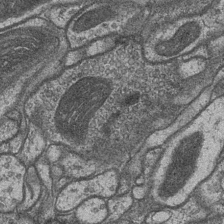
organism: Drosophila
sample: Optic medulla